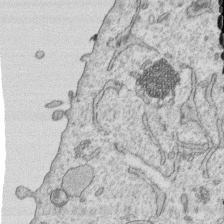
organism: Human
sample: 1205lu cells